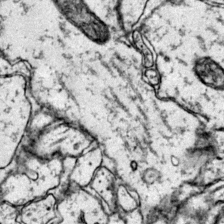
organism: Mouse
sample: Primary visual cortex